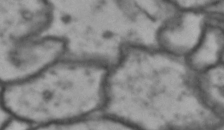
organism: Drosophila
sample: Brain